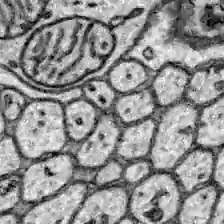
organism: Zebrafish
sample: Brain